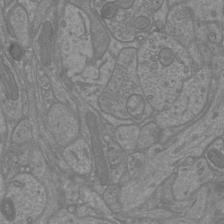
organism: Mouse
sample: Cortical neurons